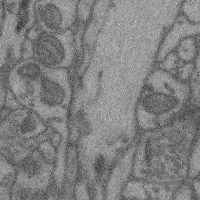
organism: Mouse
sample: Cerebral cortex